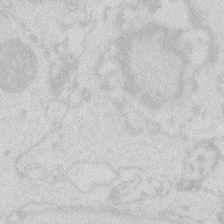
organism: Zebrafish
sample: Macrophage